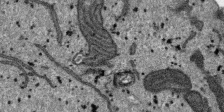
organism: Human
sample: Lung epithelial cells, uninfected (mock) control